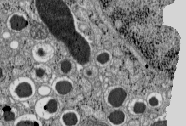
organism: C57BL Mouse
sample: Pancreatic islet